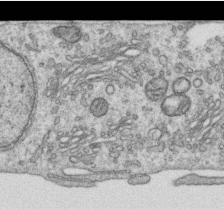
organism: Human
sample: Centriole in RPE cells